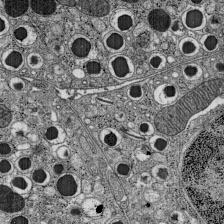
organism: C57BL Mouse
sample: Pancreatic islet